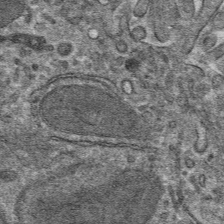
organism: Mouse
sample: Mouse hepatocytes